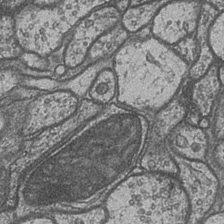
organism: Drosophila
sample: Optic medulla